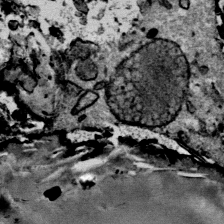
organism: Mouse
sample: Mouse Salivary gland